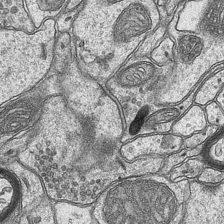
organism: Mouse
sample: CA1 Hippocampus